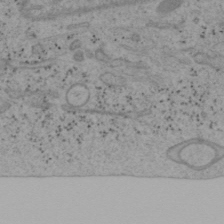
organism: Human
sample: HeLa cells